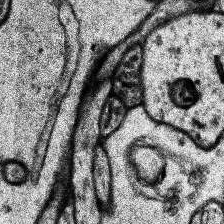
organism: Human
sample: Temporal Lobe